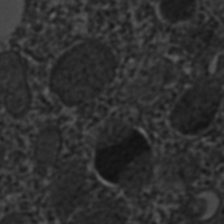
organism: C. elegans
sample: C. elegans embryo